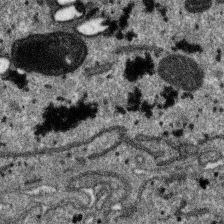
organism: Human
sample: Lung epithelial cells infected with SARS-CoV-2